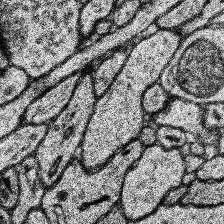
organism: Human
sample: Temporal Lobe